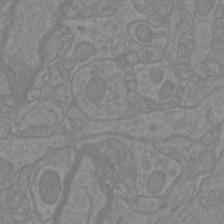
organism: Mouse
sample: Cortical neurons